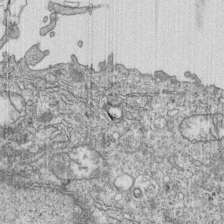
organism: Human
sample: HeLa cell HIV synapse